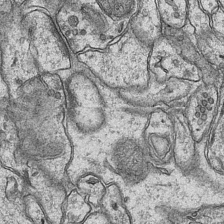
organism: Mouse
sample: CA1 Hippocampus